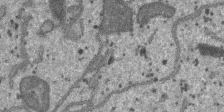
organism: Human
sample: Lung epithelial cells infected with SARS-CoV-2